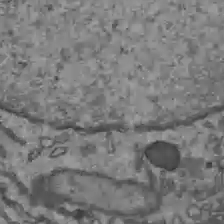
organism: C57BL Mouse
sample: Liver